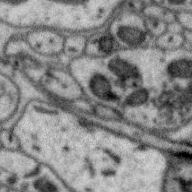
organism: Zebra finch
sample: Brain